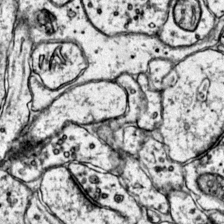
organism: Mouse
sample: Primary visual cortex